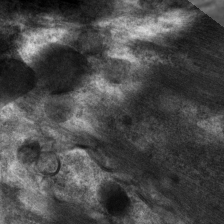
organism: C. elegans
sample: Pharynx